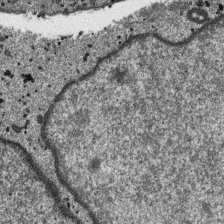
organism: Human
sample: Lung epithelial cells infected with SARS-CoV-2